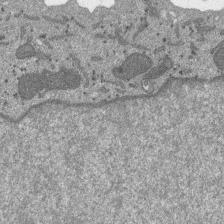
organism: Human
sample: Lung epithelial cells infected with SARS-CoV-2